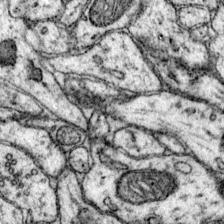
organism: Mouse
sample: Primary visual cortex